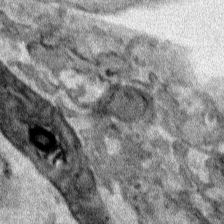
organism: Human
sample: Mitochondria in HCT116 cells